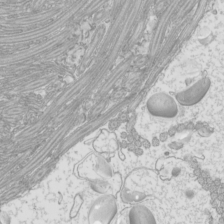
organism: Mouse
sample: Cilia; mouse epididymis